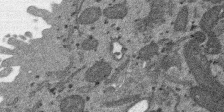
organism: Human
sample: Lung epithelial cells infected with SARS-CoV-2